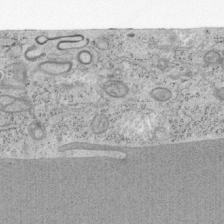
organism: Human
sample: HeLa cells